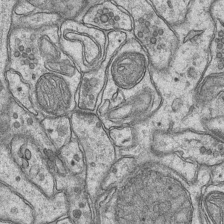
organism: Mouse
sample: CA1 Hippocampus